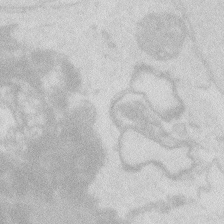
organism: Zebrafish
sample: Macrophage